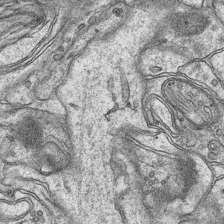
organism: Mouse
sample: CA1 Hippocampus